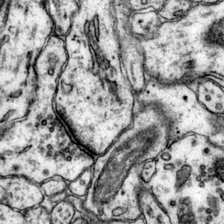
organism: Mouse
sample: Primary visual cortex